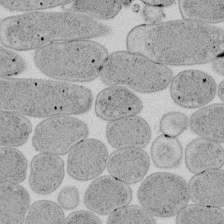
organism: E. coli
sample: Bacterial nucleoid